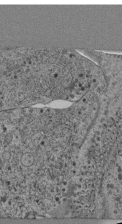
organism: C. elegans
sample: C. elegans pharynx